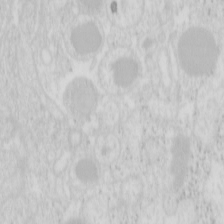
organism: Mouse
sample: Pancreas